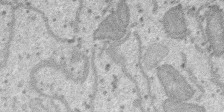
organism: Human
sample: Lung epithelial cells infected with SARS-CoV-2